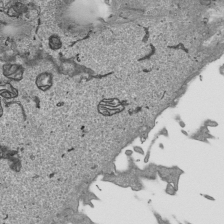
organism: Human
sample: Mitochondria in HCT116 cells